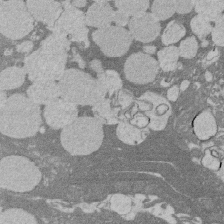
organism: Rat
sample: Salivary granule